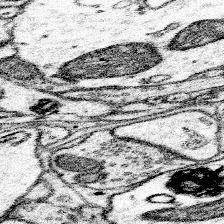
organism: Mouse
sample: Somatosensory cortex neuropil